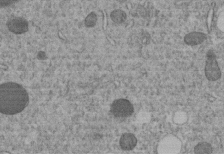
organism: C. elegans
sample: C. elegans embryo early stage